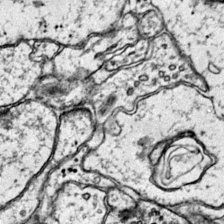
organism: Mouse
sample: Primary visual cortex